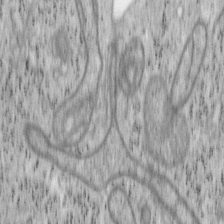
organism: Human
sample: HeLa cells